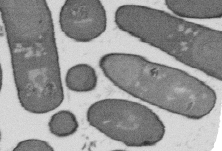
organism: B. subtilis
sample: Bacterial spore